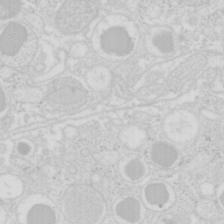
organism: Mouse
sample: Pancreas